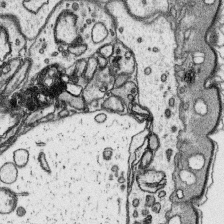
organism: Platynereis dumerilii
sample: Parapodia